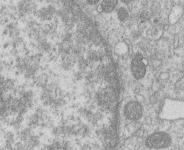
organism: Human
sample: Macrophage cells